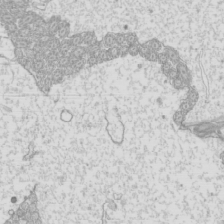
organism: Mouse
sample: Cilia; mouse epididymis